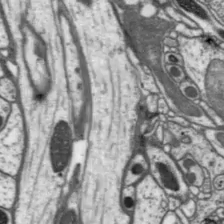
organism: Drosophila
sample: Protocerebral bridge